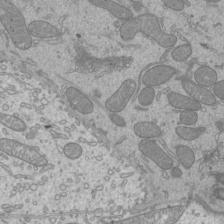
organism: Mouse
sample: Cilia; mouse epididymis